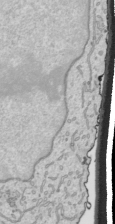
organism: Human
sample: Mitochondria in HCT116 cells